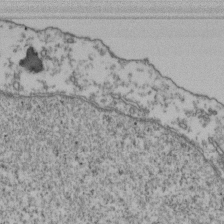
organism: Human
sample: Activated Jurkat CD4+ T cells